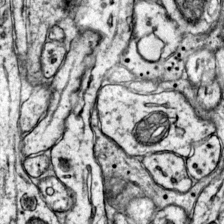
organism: Mouse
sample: Primary visual cortex